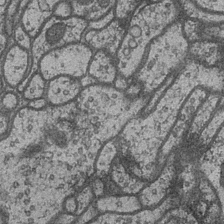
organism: Drosophila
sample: Optic medulla